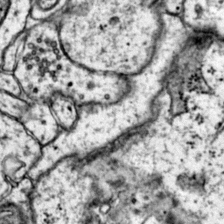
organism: Mouse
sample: Primary visual cortex